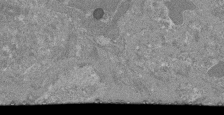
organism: Mouse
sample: Glomerulus